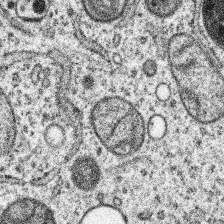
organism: Human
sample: HeLa cells